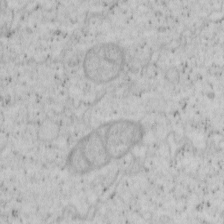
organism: Human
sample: HeLa cells